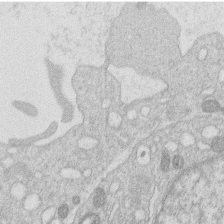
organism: Human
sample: Macrophage cells